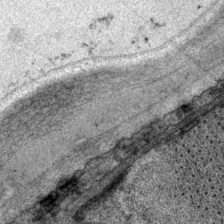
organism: P. pacificus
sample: Pharynx